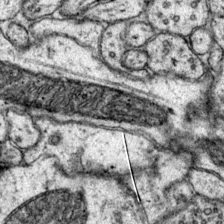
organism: Mouse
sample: Primary visual cortex